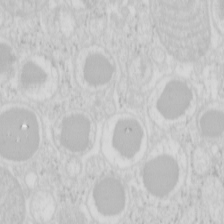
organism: Mouse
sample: Pancreas